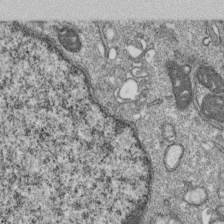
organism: African green monkey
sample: Vero E6 cells infected with SARS-CoV-2